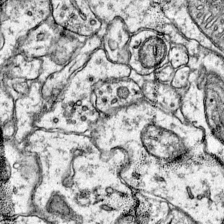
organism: Mouse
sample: Primary visual cortex